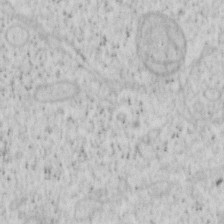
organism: Human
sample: HeLa cells